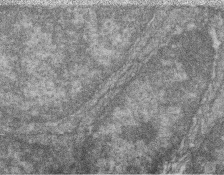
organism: Zebrafish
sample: Cilia; retinal pigment epithelium